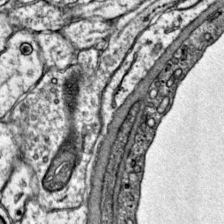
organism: Mouse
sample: Primary visual cortex